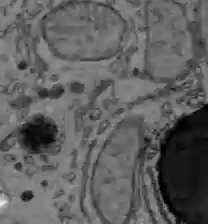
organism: C57BL Mouse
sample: Liver